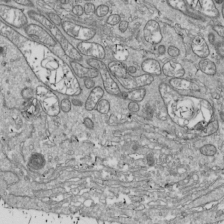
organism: Drosophila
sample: Cell division; meiosis; drosophila spermatocytes